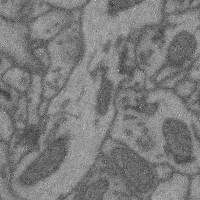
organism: Mouse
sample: Cerebral cortex